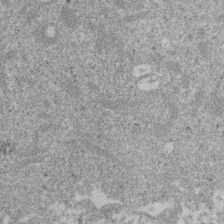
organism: Mouse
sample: Dividing mouse embryo 1 cell stage